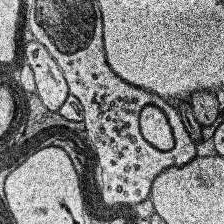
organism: Human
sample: Temporal Lobe